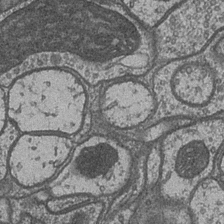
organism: Drosophila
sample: Optic medulla